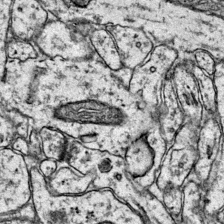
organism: Mouse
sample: Primary visual cortex